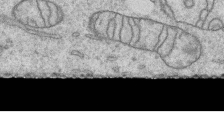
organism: Human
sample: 1205lu cells